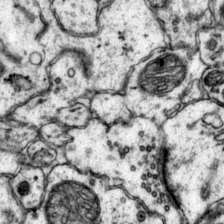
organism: Mouse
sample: Primary visual cortex